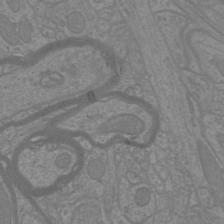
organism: Mouse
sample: Cortical neurons